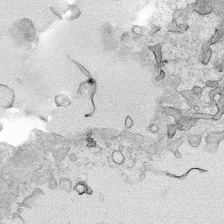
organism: Human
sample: Mitochondria in HCT116 cells